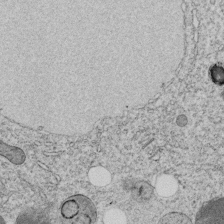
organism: C. elegans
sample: C. elegans embryo early stage